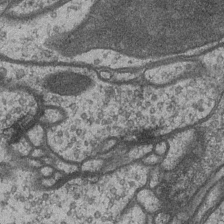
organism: Drosophila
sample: Optic medulla